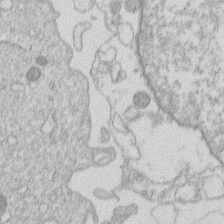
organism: Human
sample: Macrophage cells